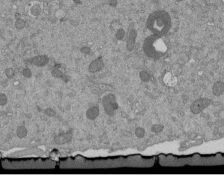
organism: Mouse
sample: ED-1 cell nuclei; centrioles